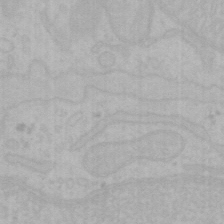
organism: Mouse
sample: Choroid plexus